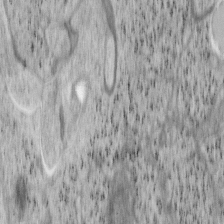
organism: Human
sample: HeLa cells